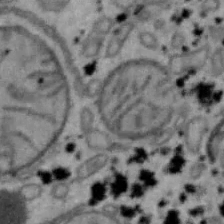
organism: Mouse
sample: Liver